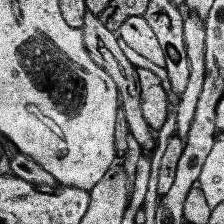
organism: Human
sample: Temporal Lobe